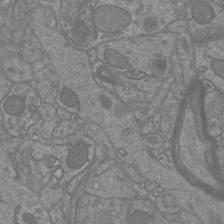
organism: Mouse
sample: Cortical neurons